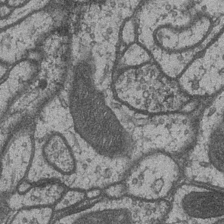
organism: Drosophila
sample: Optic medulla